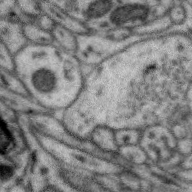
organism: Zebra finch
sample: Brain